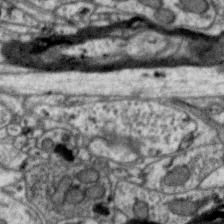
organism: Zebra finch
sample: Brain